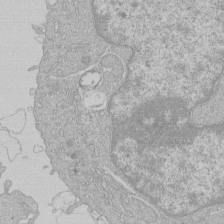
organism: Human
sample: Macrophage cells